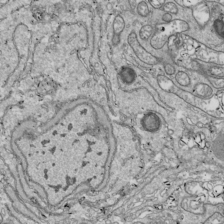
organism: Drosophila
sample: Cell division; meiosis; drosophila spermatocytes